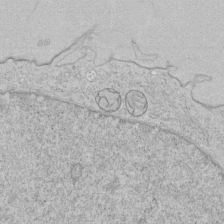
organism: Human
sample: Mitochondria in HCT116 cells